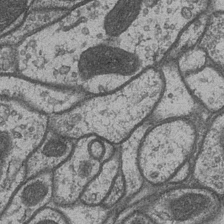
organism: Drosophila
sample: Optic medulla